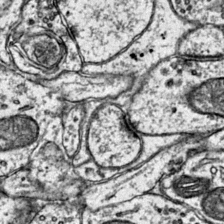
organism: Mouse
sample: Primary visual cortex